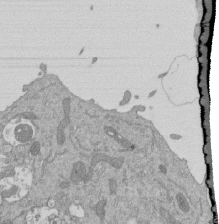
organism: Mouse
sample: ED-1 cell nuclei; centrioles